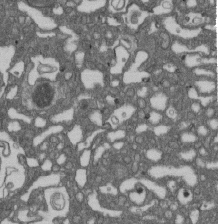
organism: Drosophila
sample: Nephrocyte